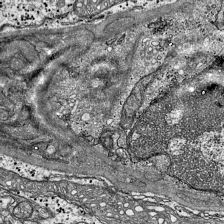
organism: Mouse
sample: Visual Cortex